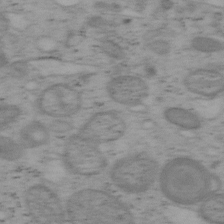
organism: Mouse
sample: OT-I killer T cells with ID8 ovarian cancer cells